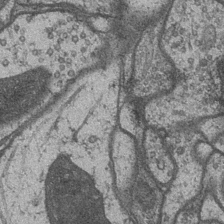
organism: Drosophila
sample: Optic medulla